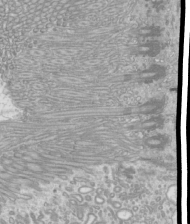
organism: Mouse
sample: Cilia; mouse epididymis